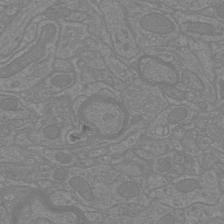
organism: Mouse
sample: Cortical neurons